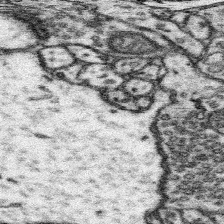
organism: Mouse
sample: Somatosensory cortex neuropil